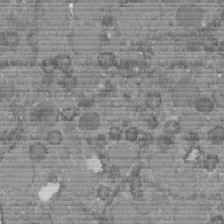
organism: C. elegans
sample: C. elegans embryo early stage